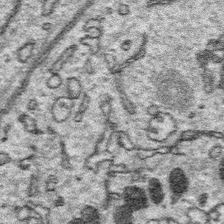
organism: Platynereis dumerilii